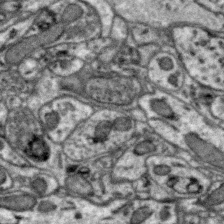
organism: Zebra finch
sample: Brain